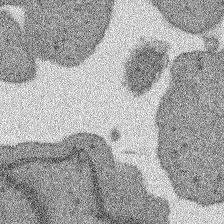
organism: Human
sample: HeLa cells